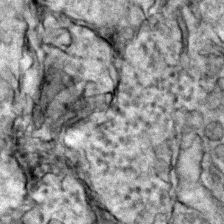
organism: Zebrafish